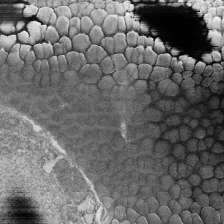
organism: Tetrahymena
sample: Cilia in tetrahymena